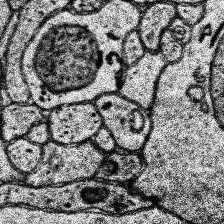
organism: Human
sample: Temporal Lobe